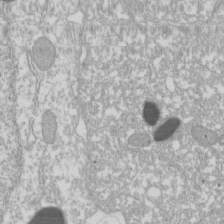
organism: Xenopus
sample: Cilia; centrioles in frog embryo cells